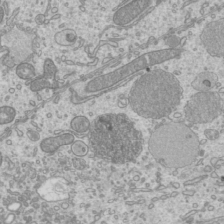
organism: Mouse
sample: Cilia; mouse epididymis